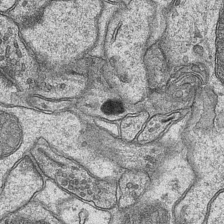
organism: Mouse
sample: CA1 Hippocampus